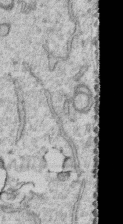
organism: Human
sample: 1205lu cells